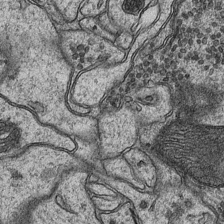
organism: Mouse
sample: CA1 Hippocampus